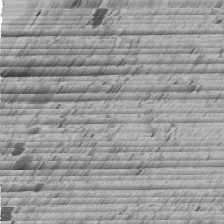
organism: C. elegans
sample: C. elegans embryo early stage